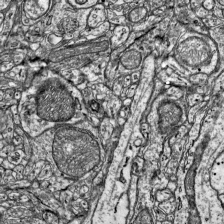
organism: Mouse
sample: Visual Cortex